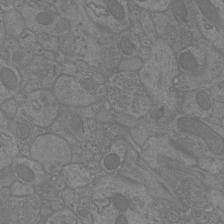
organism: Mouse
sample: Cortical neurons